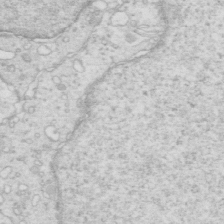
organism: Mouse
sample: Multiciliated cells